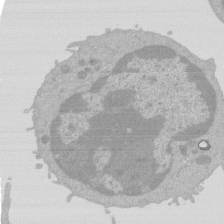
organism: Mouse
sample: Activated Pmel transgenic CD8+ T Cells